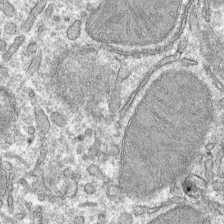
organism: Mouse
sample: Mouse hepatocytes